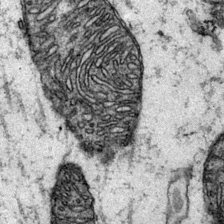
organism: Mouse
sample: Primary visual cortex